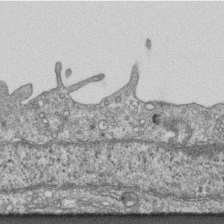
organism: Mouse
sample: Centriole in ependymal cells